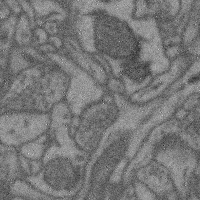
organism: Mouse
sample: Cerebral cortex